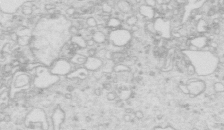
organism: Mouse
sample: Multiciliated cells